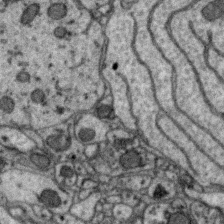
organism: Zebra finch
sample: Brain